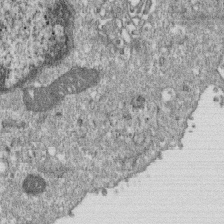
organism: African green monkey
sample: Vero E6 cells infected with SARS-CoV-2